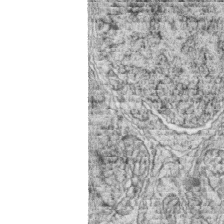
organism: Zebrafish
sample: synaptic ribbons in rod cells and cone cells